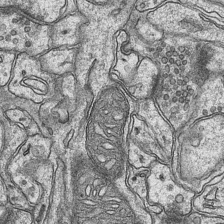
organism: Mouse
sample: CA1 Hippocampus